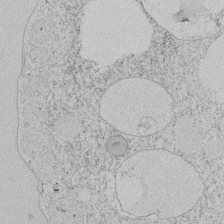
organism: Tetrahymena